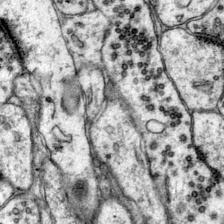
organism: Mouse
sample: Primary visual cortex